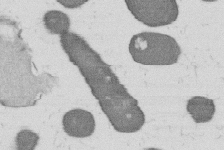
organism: B. subtilis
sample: Bacterial spore